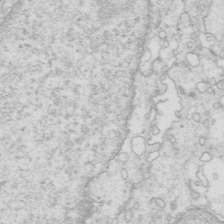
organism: Mouse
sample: Multiciliated cells